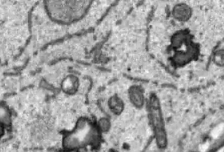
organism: Human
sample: HeLa cells